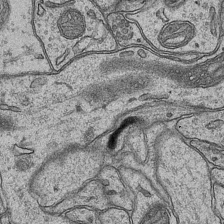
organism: Mouse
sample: CA1 Hippocampus